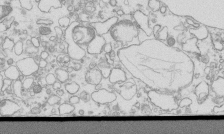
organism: Mouse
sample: Macrophages